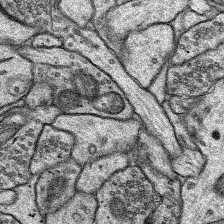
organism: Rat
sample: Hippocampus